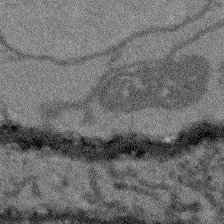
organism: Arabidopsis thaliana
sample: Root tip